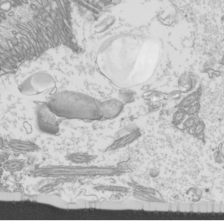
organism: Mouse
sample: Cilia; mouse epididymis